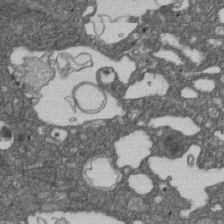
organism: Drosophila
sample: Nephrocyte